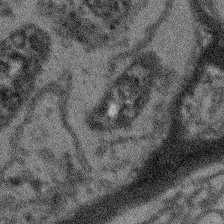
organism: Arabidopsis thaliana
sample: Root tip